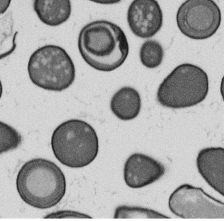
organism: B. subtilis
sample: Bacterial spore